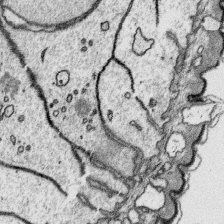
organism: Platynereis dumerilii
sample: Parapodia